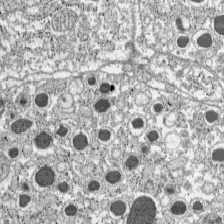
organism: C57BL Mouse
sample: Pancreatic islet